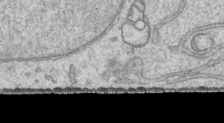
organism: Human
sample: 1205lu cells